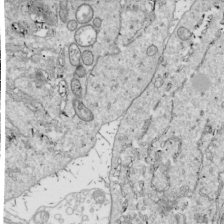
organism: Drosophila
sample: Cell division; meiosis; drosophila spermatocytes